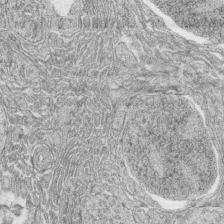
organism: Zebrafish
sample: synaptic ribbons in rod cells and cone cells